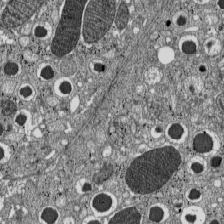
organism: C57BL Mouse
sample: Pancreatic islet